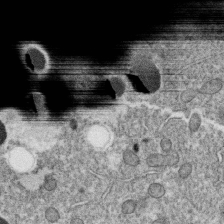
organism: C. elegans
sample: C. elegans oocyte; sperm cells